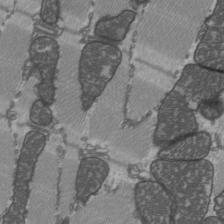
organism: C57BL Mouse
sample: Heart